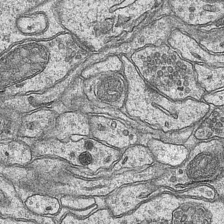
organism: Mouse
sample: CA1 Hippocampus